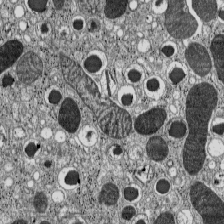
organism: C57BL Mouse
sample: Pancreatic islet